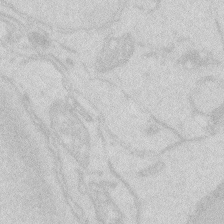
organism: Zebrafish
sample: Macrophage